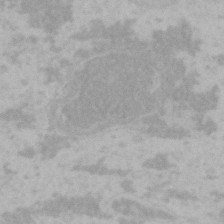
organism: Mouse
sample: Choroid plexus